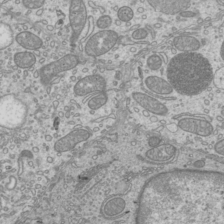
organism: Mouse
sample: Cilia; mouse epididymis